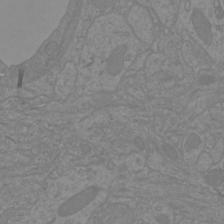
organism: Mouse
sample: Cortical neurons